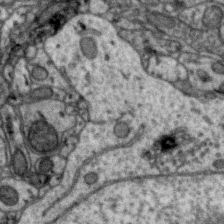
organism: Zebra finch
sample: Brain